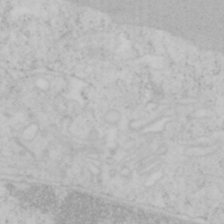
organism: Mouse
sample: OT-I killer T cells with ID8 ovarian cancer cells